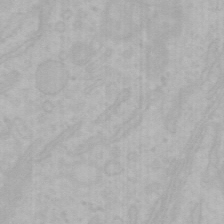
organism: Mouse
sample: Choroid plexus